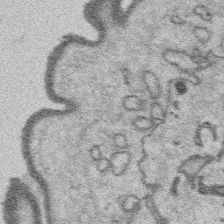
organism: Platynereis dumerilii